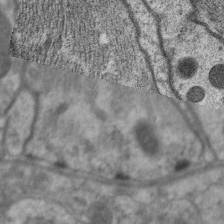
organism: C. elegans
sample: Pharynx